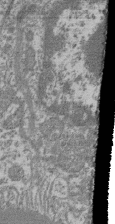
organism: Mouse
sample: Glomerulus